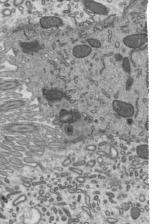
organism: Mouse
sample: Mouse epididymis efferent ductule cilia